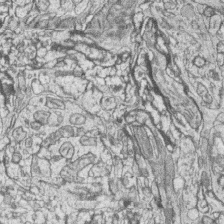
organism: Zebrafish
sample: synaptic ribbons in rod cells and cone cells